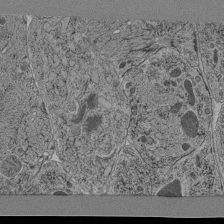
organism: C. elegans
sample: C. elegans pharynx